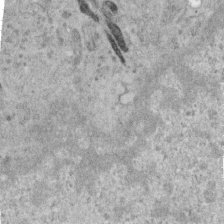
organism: Human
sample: Centriole in RPE cells